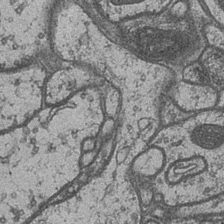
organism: Drosophila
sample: Optic medulla